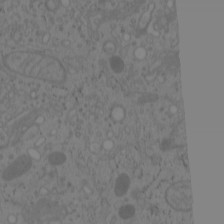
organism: Human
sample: HeLa cells